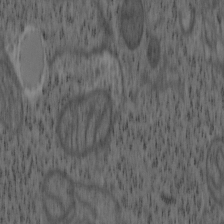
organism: Human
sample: HeLa cells